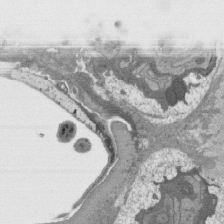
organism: C. elegans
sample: AFD neurons C. elegans